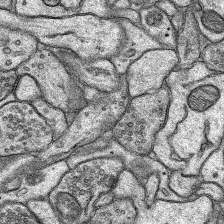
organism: Rat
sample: Hippocampus